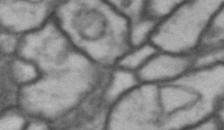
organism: Drosophila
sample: Brain